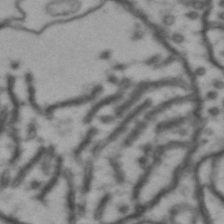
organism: Drosophila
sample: Brain